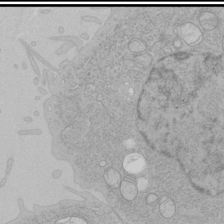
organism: Human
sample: Mitochondria in HCT116 cells